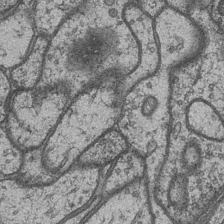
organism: Drosophila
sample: Optic medulla